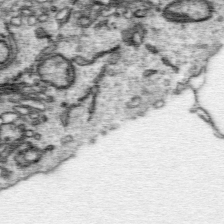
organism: Human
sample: HeLa cells